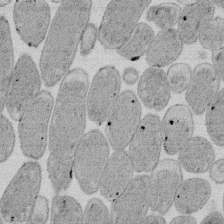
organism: E. coli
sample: Bacterial nucleoid